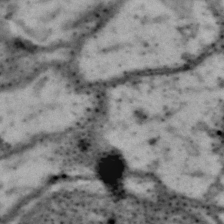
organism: Drosophila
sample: Brain